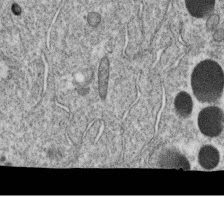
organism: C. elegans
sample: C. elegans oocyte; sperm cells